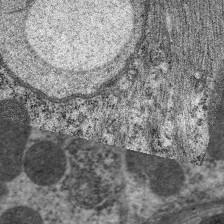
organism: C. elegans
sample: Pharynx